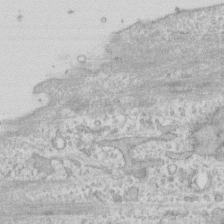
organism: Human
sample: Fibroblast cells